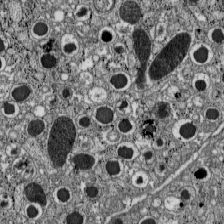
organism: C57BL Mouse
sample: Pancreatic islet